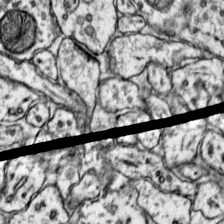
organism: Mouse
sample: Primary visual cortex